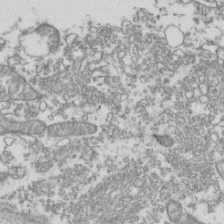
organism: Human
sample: Activated Jurkat CD4+ T cells